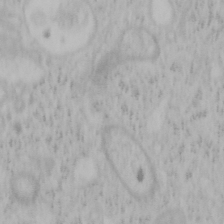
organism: Mouse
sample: OT-I killer T cells with ID8 ovarian cancer cells